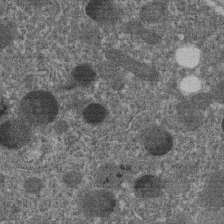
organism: C. elegans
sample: C. elegans embryo early stage